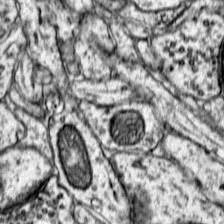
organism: Mouse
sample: Primary visual cortex